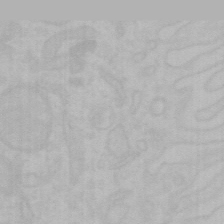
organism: Mouse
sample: Choroid plexus